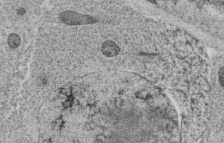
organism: C. elegans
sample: C. elegans oocyte; sperm cells